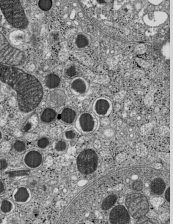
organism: C57BL Mouse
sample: Pancreatic islet